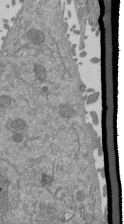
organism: Mouse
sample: ED-1 cell nuclei; centrioles